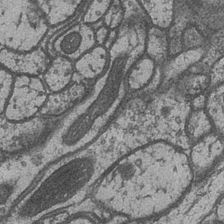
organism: Drosophila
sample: Optic medulla